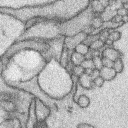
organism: Rabbit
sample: Retina